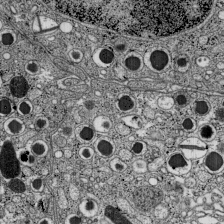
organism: C57BL Mouse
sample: Pancreatic islet